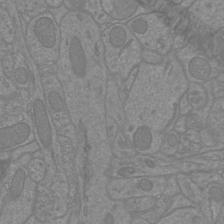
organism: Mouse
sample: Cortical neurons